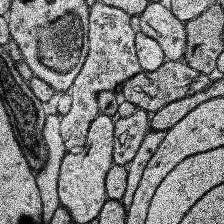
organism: Human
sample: Temporal Lobe